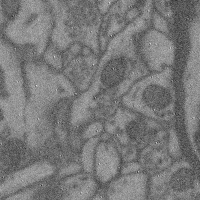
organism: Mouse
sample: Cerebral cortex